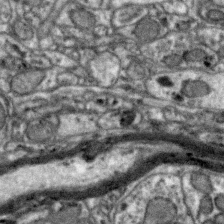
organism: Zebra finch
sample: Brain